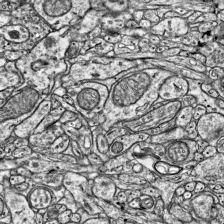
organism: Mouse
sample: Visual Cortex